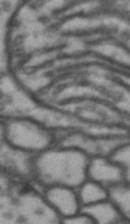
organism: Drosophila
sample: Brain